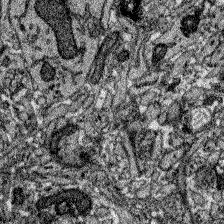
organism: Zebrafish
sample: Larval olfactory bulb